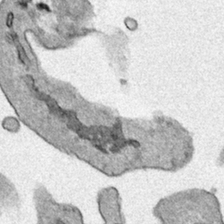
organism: Human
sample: Mitochondria in HCT116 cells